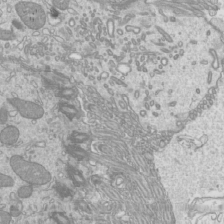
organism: Mouse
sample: Cilia; mouse epididymis